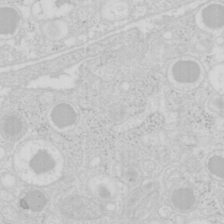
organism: Mouse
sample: Pancreas